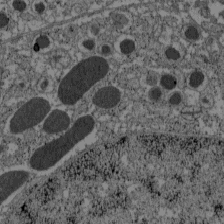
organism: C57BL Mouse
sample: Pancreatic islet